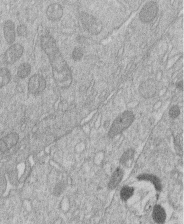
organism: Human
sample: Macrophage cells